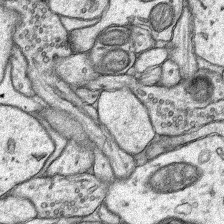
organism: Rat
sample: Hippocampus